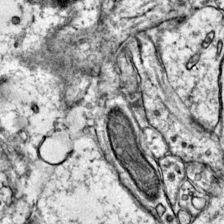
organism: Mouse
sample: Primary visual cortex